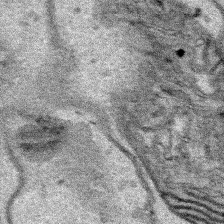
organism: Human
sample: Mitochondria in HCT116 cells